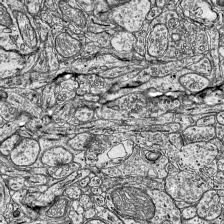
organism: Mouse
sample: Visual Cortex